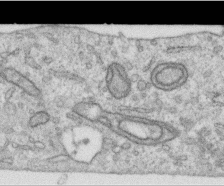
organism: Human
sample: Centriole in RPE cells